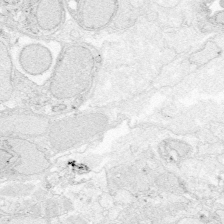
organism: Zebrafish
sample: Whole-Brain